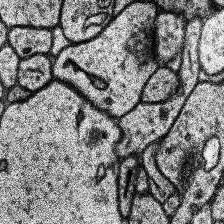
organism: Human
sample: Temporal Lobe